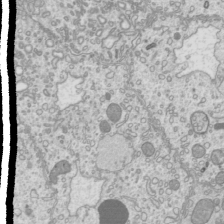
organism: Mouse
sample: Cilia; mouse epididymis